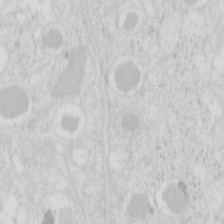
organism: Mouse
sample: Pancreas